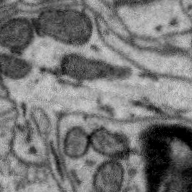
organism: Zebra finch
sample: Brain